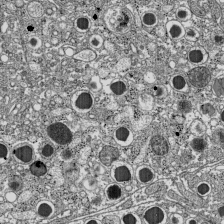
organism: C57BL Mouse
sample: Pancreatic islet